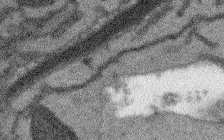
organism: Arabidopsis thaliana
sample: Root tip